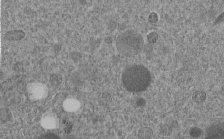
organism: C. elegans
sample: C. elegans embryo early stage